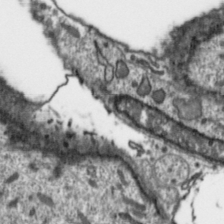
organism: Toxoplasma gondii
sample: Parasites in a vacuole inside a host cell